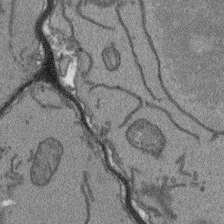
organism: Arabidopsis thaliana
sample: Root tip